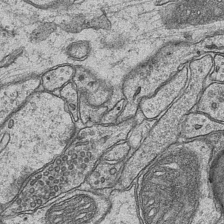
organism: Mouse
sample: CA1 Hippocampus